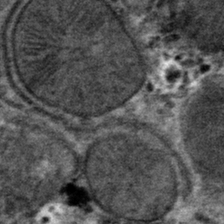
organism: Mouse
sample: Mouse hepatocytes